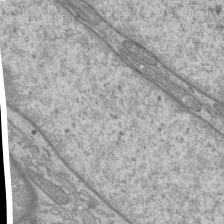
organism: Mouse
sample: Cilia; mouse epididymis